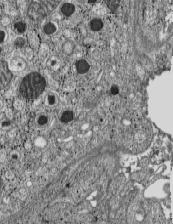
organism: C57BL Mouse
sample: Pancreatic islet